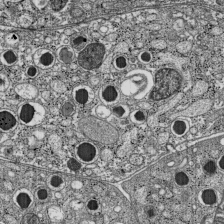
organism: C57BL Mouse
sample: Pancreatic islet